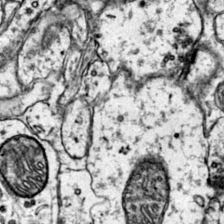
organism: Mouse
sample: Primary visual cortex